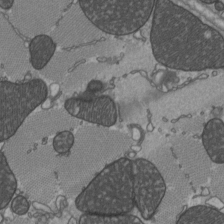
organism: C57BL Mouse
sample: Heart